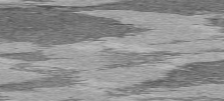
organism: C57BL Mouse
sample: Heart